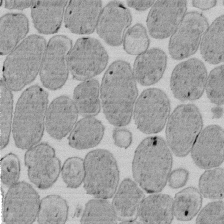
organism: E. coli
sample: Bacterial nucleoid